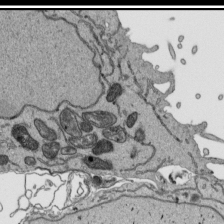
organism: Human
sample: Mitochondria in HCT116 cells